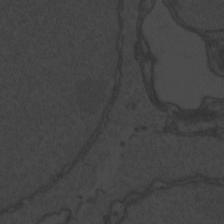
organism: Zebrafish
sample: Macrophage infected with Toxoplasma gondii